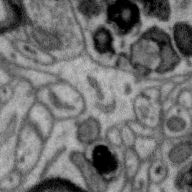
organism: Zebra finch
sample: Brain